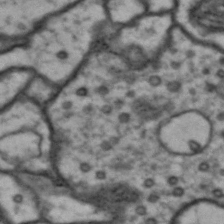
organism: Drosophila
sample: Brain